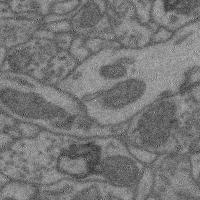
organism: Mouse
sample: Cerebral cortex